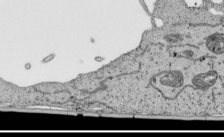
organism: Human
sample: Mitochondria in HCT116 cells